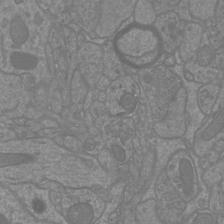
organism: Mouse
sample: Cortical neurons